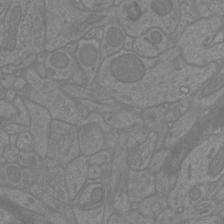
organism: Mouse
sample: Cortical neurons